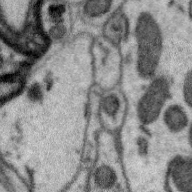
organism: Zebra finch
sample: Brain